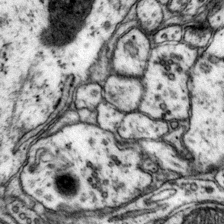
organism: Mouse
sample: Primary visual cortex